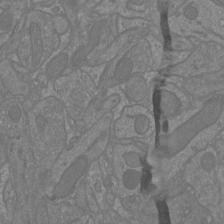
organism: Mouse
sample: Cortical neurons